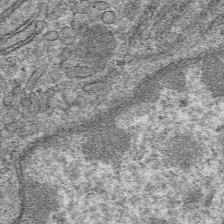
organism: Mouse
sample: Mouse hepatocytes